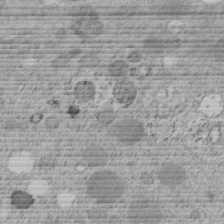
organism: C. elegans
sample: C. elegans embryo early stage